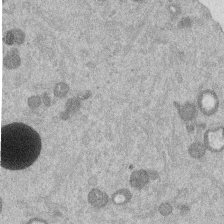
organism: Mouse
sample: Dividing mouse embryo 1 cell stage